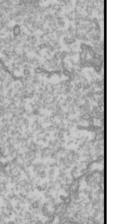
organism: Drosophila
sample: Cell division; meiosis; drosophila spermatocytes